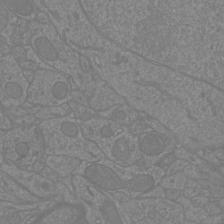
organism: Mouse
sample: Cortical neurons